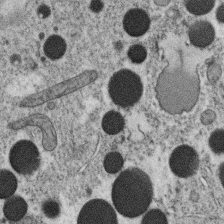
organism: C. elegans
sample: C. elegans oocyte; sperm cells